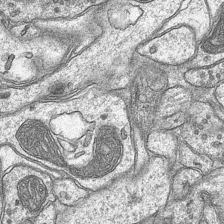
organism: Mouse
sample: CA1 Hippocampus